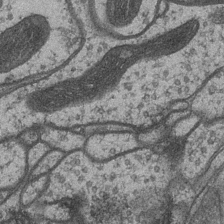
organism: Drosophila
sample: Optic medulla